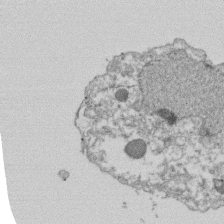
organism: Dictyostelium discoideum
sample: Dictyostelium multivesicular bodies